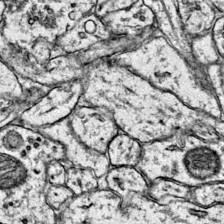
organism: Mouse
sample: Primary visual cortex